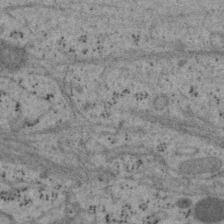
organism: Human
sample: HeLa cells